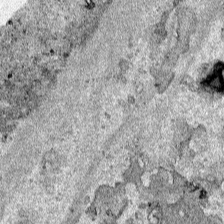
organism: Human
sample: Mitochondria in HCT116 cells